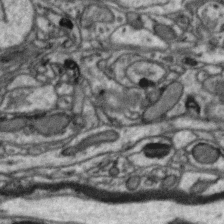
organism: Zebra finch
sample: Brain